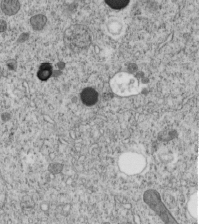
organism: C. elegans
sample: C. elegans embryo early stage